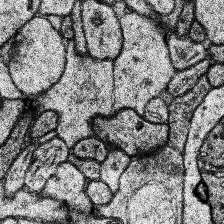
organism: Human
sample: Temporal Lobe